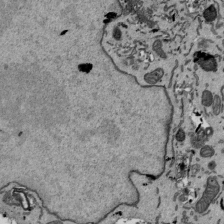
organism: Mouse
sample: ED-1 cell nuclei; centrioles